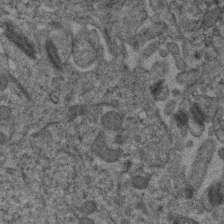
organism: Human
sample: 1205lu cells